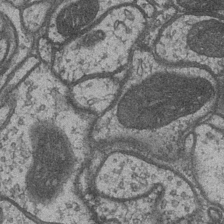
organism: Drosophila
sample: Optic medulla